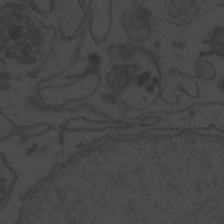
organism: Zebrafish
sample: Macrophage infected with Toxoplasma gondii